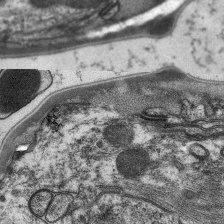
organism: C. elegans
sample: Pharynx